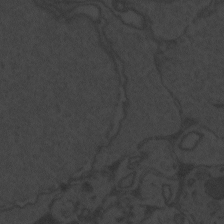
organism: Zebrafish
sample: Macrophage infected with Toxoplasma gondii